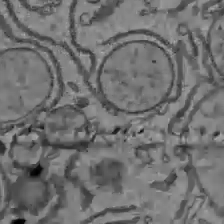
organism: C57BL Mouse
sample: Liver